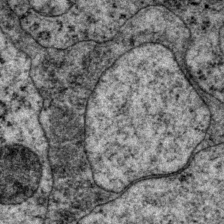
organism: P. pacificus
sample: Pharynx